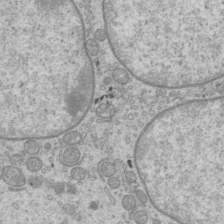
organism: Mouse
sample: Cilia; mouse epididymis